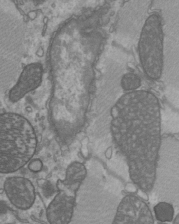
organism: C57BL Mouse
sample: Heart